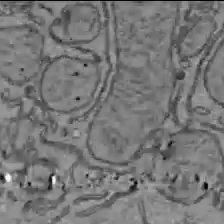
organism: C57BL Mouse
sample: Liver